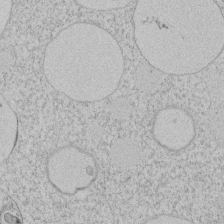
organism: Tetrahymena